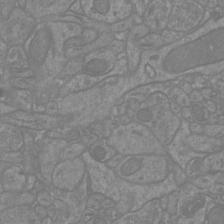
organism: Mouse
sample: Cortical neurons